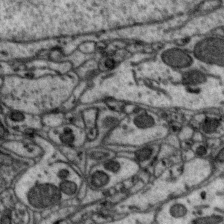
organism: Zebra finch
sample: Brain